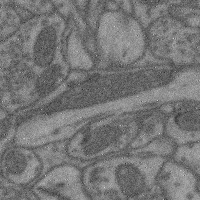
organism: Mouse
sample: Cerebral cortex